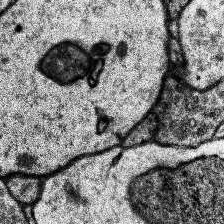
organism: Human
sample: Temporal Lobe